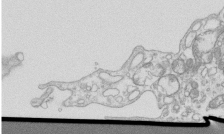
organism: Mouse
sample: Macrophages